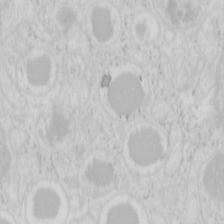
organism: Mouse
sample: Pancreas